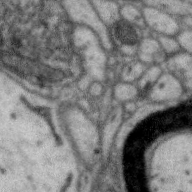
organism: Zebra finch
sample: Brain